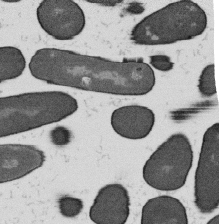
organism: B. subtilis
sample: Bacterial spore